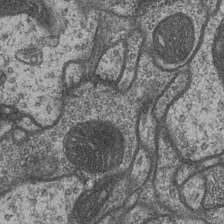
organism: Drosophila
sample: Optic medulla